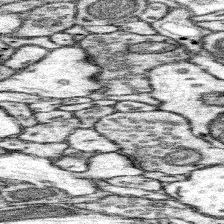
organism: Mouse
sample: Somatosensory cortex neuropil